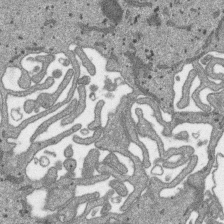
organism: Human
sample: Lung epithelial cells infected with SARS-CoV-2